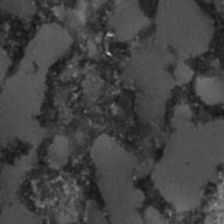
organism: C. elegans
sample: C. elegans embryo